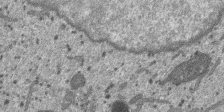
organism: Human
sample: Lung epithelial cells infected with SARS-CoV-2